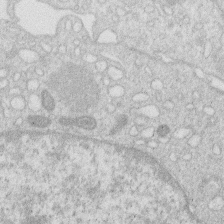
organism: Human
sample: Macrophage cells